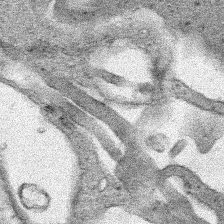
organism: Human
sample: Mitochondria in HCT116 cells